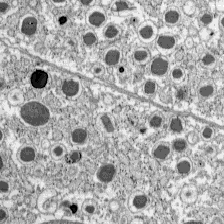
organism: C57BL Mouse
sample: Pancreatic islet